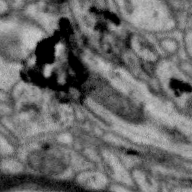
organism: Zebra finch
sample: Brain